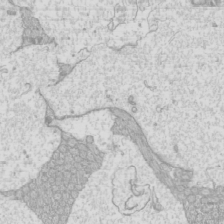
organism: Mouse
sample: Cilia; mouse epididymis